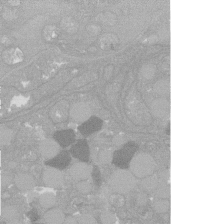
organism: C. elegans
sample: C. elegans oocyte; sperm cells